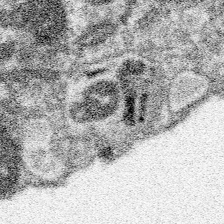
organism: Spongilla lacustris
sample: Neuroid cell